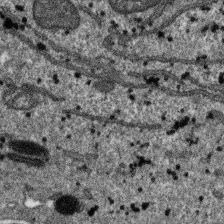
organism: Human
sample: Lung epithelial cells infected with SARS-CoV-2